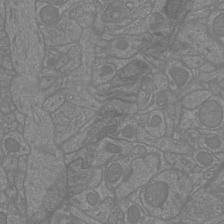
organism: Mouse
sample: Cortical neurons